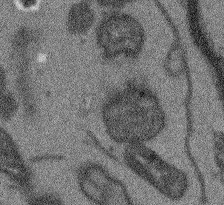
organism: Arabidopsis thaliana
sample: Root tip